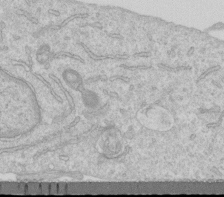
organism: Human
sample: Centriole in RPE cells